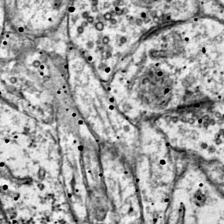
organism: Mouse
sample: Primary visual cortex